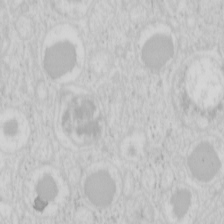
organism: Mouse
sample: Pancreas